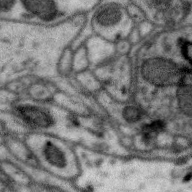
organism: Zebra finch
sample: Brain